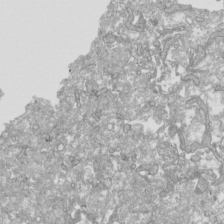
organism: Human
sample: Mitochondria in HCT116 cells